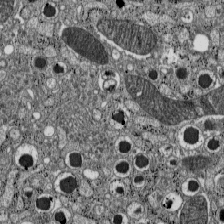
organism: C57BL Mouse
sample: Pancreatic islet